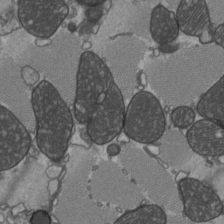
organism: C57BL Mouse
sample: Heart